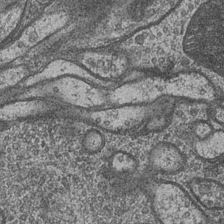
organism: Drosophila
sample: Optic medulla